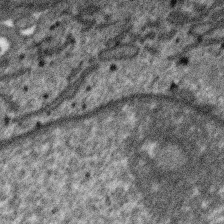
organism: Human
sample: Lung epithelial cells infected with SARS-CoV-2